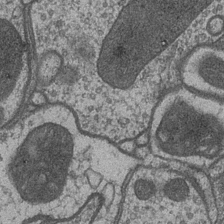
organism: Drosophila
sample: Optic medulla